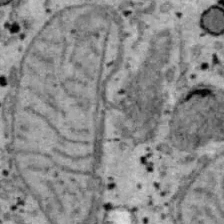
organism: Mouse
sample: Liver from an obese (ob/ob) mouse